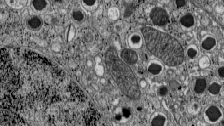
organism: C57BL Mouse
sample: Pancreatic islet